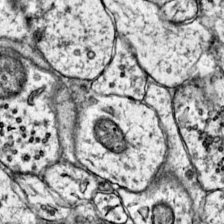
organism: Mouse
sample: Primary visual cortex